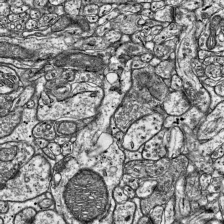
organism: Mouse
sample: Visual Cortex